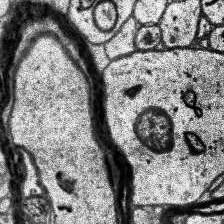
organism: Human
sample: Temporal Lobe